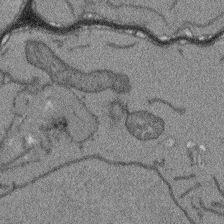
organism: Arabidopsis thaliana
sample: Root tip